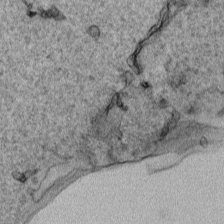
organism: Human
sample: Mitochondria in HCT116 cells